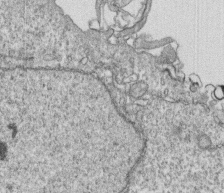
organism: Human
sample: HeLa cell HIV synapse